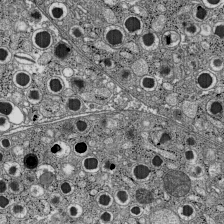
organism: C57BL Mouse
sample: Pancreatic islet